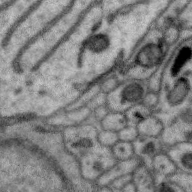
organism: Zebra finch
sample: Brain